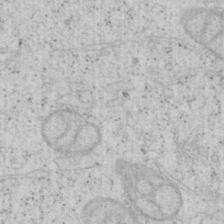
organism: Human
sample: HeLa cells